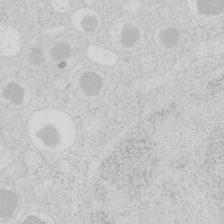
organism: Mouse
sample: Pancreas